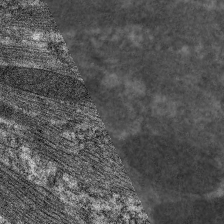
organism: C. elegans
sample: Pharynx